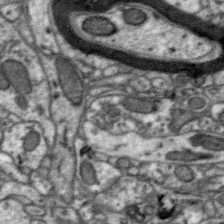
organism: Zebra finch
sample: Brain